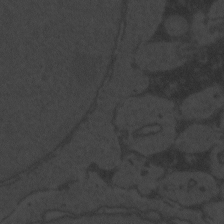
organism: Zebrafish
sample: Macrophage infected with Toxoplasma gondii